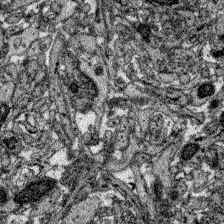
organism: Zebrafish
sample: Larval olfactory bulb